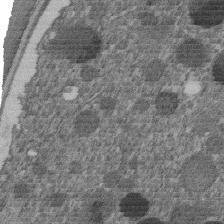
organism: C. elegans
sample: C. elegans embryo early stage